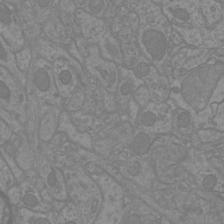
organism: Mouse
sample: Cortical neurons